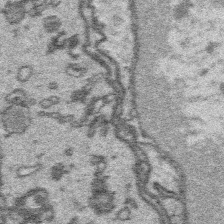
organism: Platynereis dumerilii